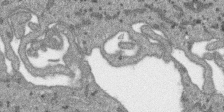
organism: Human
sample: Lung epithelial cells infected with SARS-CoV-2